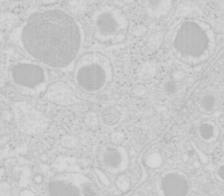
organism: Mouse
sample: Pancreas